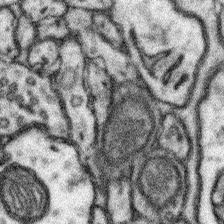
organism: Mouse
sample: Somatosensory cortex neuropil